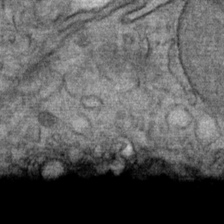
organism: Mouse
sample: Mouse Salivary gland